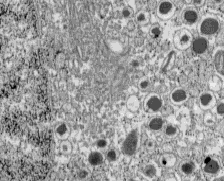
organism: C57BL Mouse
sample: Pancreatic islet